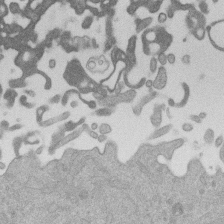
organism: Mouse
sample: Dividing mouse embryo 1 cell stage